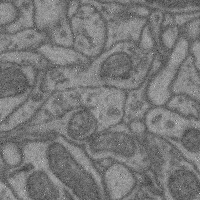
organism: Mouse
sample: Cerebral cortex